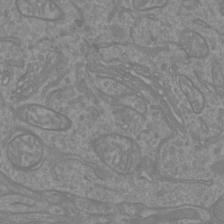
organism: Mouse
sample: Cortical neurons